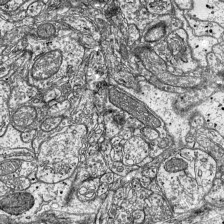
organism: Mouse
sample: Visual Cortex